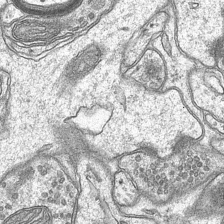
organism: Mouse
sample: CA1 Hippocampus